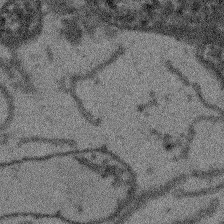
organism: Arabidopsis thaliana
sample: Root tip